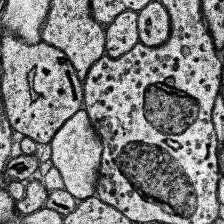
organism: Human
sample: Temporal Lobe